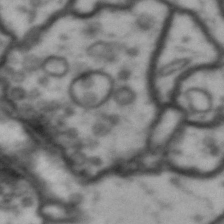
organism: Drosophila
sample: Brain